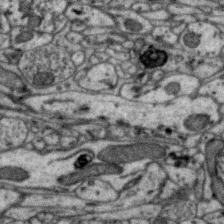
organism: Zebra finch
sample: Brain